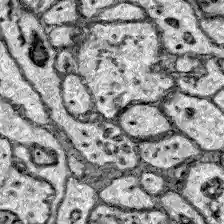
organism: Zebrafish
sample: Brain